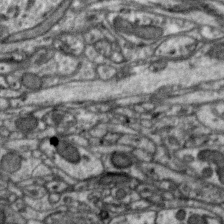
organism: Zebra finch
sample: Brain